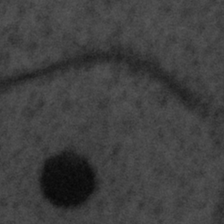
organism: Tuwongella immobilis